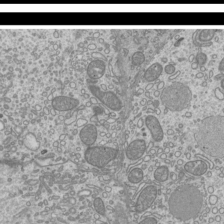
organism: Mouse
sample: Cilia; mouse epididymis